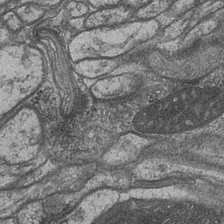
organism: Drosophila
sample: Optic medulla